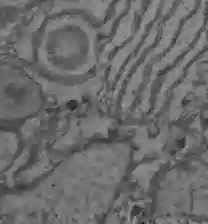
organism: C57BL Mouse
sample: Liver